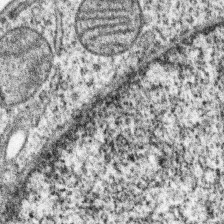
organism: Human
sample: HeLa cells